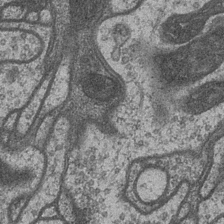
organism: Drosophila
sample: Optic medulla